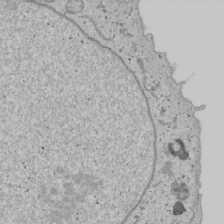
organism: Human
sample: Mitochondria in U2OS cells